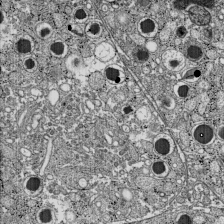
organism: C57BL Mouse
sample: Pancreatic islet